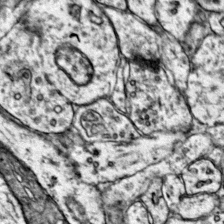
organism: Mouse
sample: Primary visual cortex